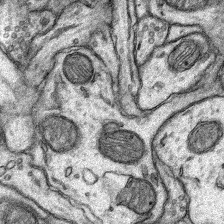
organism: Rat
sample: Hippocampus